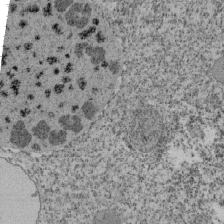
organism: Tetrahymena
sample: Cilia in tetrahymena